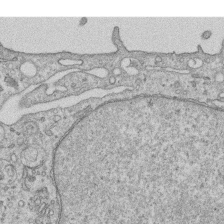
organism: Human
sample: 1205lu cells